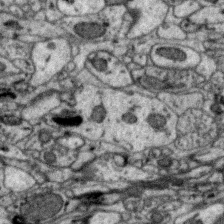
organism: Zebra finch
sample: Brain